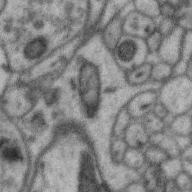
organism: Zebra finch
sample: Brain